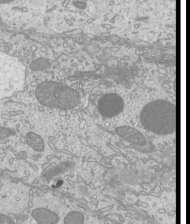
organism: Mouse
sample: Cilia; mouse epididymis